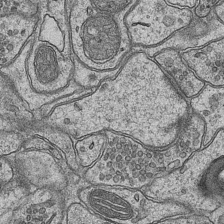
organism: Mouse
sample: CA1 Hippocampus